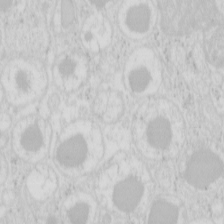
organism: Mouse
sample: Pancreas